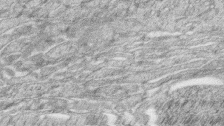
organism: Zebrafish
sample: synaptic ribbons in rod cells and cone cells